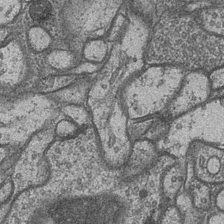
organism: Drosophila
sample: Optic medulla